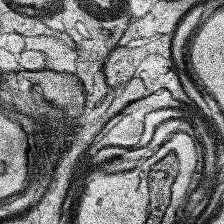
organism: Human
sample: Temporal Lobe